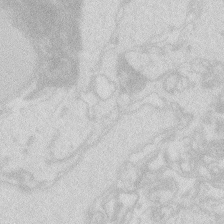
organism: Zebrafish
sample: Macrophage